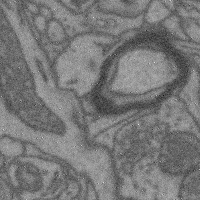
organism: Mouse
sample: Cerebral cortex